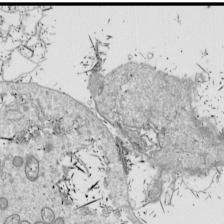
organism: Drosophila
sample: Cell division; meiosis; drosophila spermatocytes